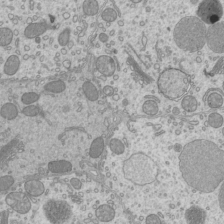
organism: Mouse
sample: Cilia; mouse epididymis